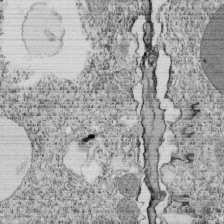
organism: Tetrahymena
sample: Cilia in tetrahymena